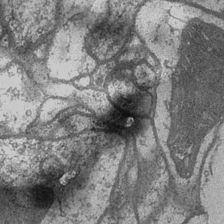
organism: Drosophila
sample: Optic medulla